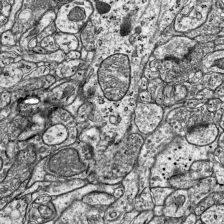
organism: Mouse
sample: Visual Cortex